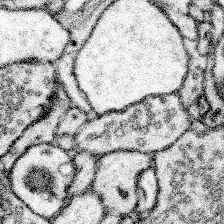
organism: Mouse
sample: Somatosensory cortex neuropil